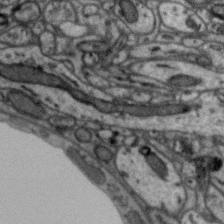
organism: Zebra finch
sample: Brain